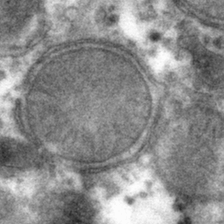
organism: Mouse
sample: Mouse hepatocytes